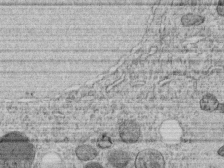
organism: C. elegans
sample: C. elegans embryo early stage